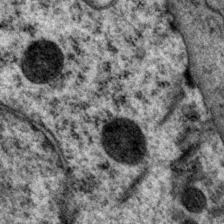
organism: P. pacificus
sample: Pharynx